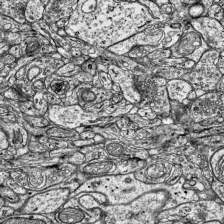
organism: Mouse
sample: Visual Cortex